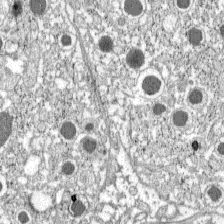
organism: C57BL Mouse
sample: Pancreatic islet